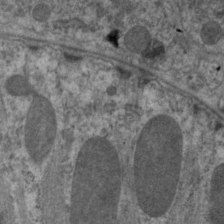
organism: C. elegans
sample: Pharynx